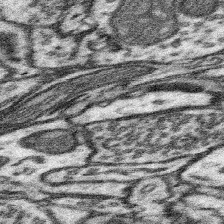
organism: Mouse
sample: Somatosensory cortex neuropil